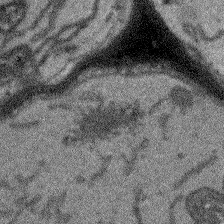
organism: Arabidopsis thaliana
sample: Root tip